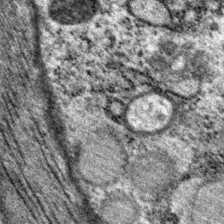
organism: P. pacificus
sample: Pharynx